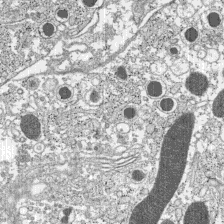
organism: C57BL Mouse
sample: Pancreatic islet